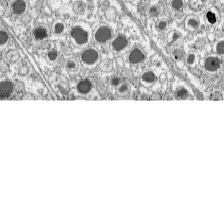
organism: C57BL Mouse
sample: Pancreatic islet